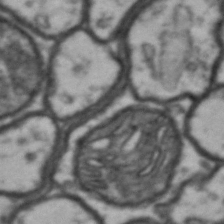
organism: Drosophila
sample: Brain